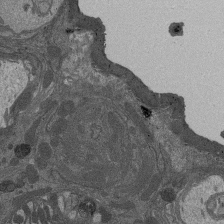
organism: Drosophila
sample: Antenna